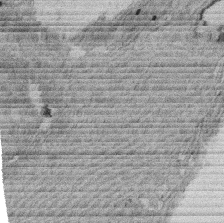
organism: Rat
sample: Salivary granule